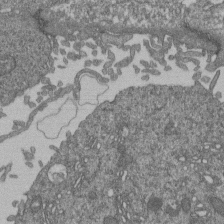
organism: Human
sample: Retinal organoid Rod and Cone cells